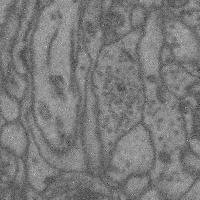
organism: Mouse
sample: Cerebral cortex